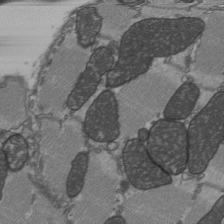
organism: C57BL Mouse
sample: Heart